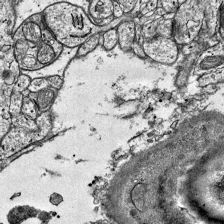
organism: Mouse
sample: Visual Cortex